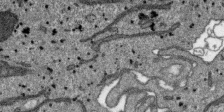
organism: Human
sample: Lung epithelial cells, uninfected (mock) control